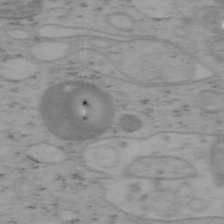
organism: Mouse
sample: OT-I killer T cells with ID8 ovarian cancer cells